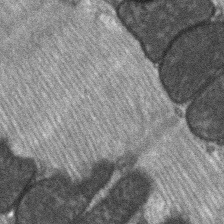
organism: C57BL Mouse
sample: Soleus